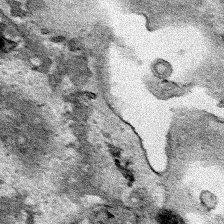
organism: Human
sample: Mitochondria in HCT116 cells